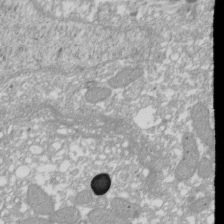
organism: Xenopus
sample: Cilia; centrioles in frog embryo cells